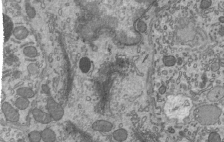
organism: Mouse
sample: Mouse epididymis efferent ductule cilia